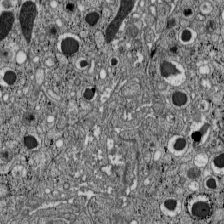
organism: C57BL Mouse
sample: Pancreatic islet